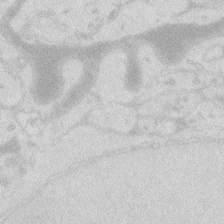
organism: Zebrafish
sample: Macrophage